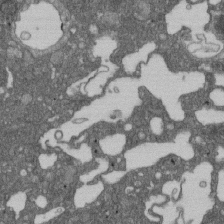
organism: Drosophila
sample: Nephrocyte